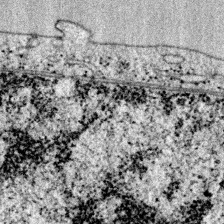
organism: Human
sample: HeLa cells